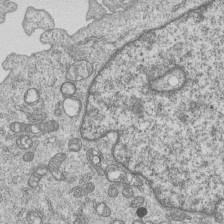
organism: Human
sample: MDA-MB-231 cells